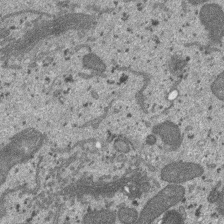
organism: Human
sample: Lung epithelial cells infected with SARS-CoV-2